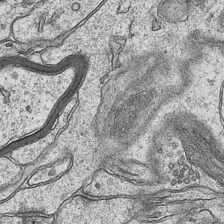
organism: Mouse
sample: CA1 Hippocampus